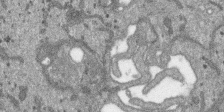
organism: Human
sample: Lung epithelial cells infected with SARS-CoV-2